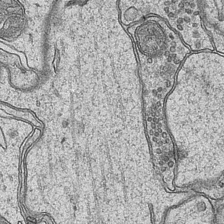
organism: Mouse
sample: CA1 Hippocampus